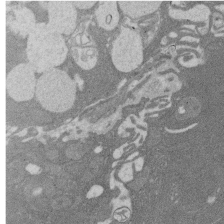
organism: Rat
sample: Salivary granule